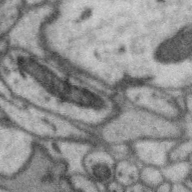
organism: Zebra finch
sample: Brain